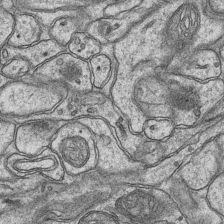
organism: Mouse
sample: CA1 Hippocampus